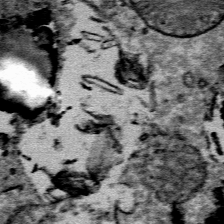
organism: Mouse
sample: Mouse Salivary gland